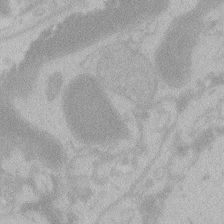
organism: Zebrafish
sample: Macrophage infected with Toxoplasma gondii